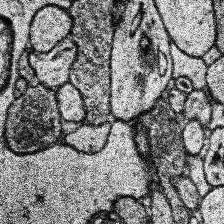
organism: Human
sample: Temporal Lobe